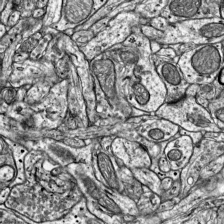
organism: Mouse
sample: Visual Cortex